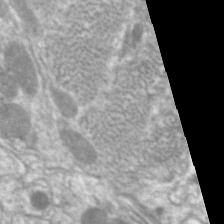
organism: C. elegans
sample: Pharynx